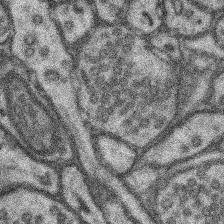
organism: Mouse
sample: Somatosensory cortex neuropil